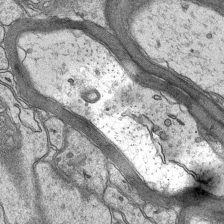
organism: Mouse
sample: CA1 Hippocampus